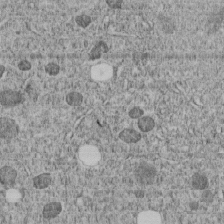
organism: C. elegans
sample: C. elegans embryo early stage